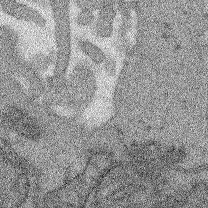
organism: Human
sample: HeLa cells